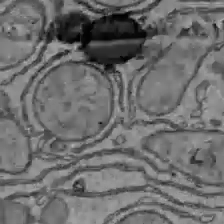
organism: C57BL Mouse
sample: Liver